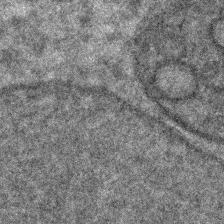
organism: C. elegans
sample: C. elegans embryo